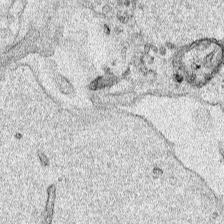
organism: Human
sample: Mitochondria in HCT116 cells